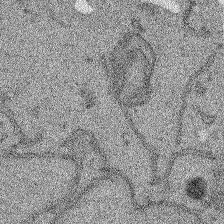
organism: Human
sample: HeLa cells